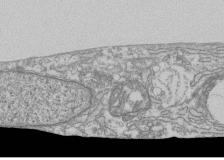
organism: Human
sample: Fibroblast cells